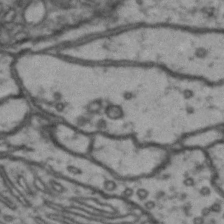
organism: Drosophila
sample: Brain